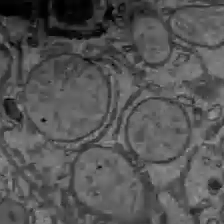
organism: C57BL Mouse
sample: Liver